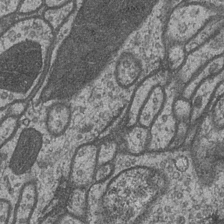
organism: Drosophila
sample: Optic medulla